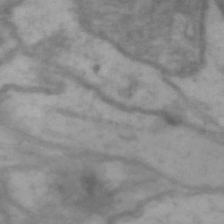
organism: Drosophila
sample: Brain